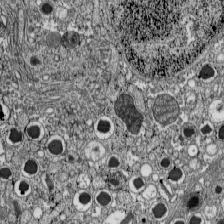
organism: C57BL Mouse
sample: Pancreatic islet